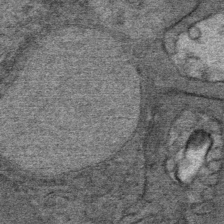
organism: Mouse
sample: Mouse Salivary gland